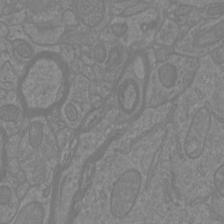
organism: Mouse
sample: Cortical neurons